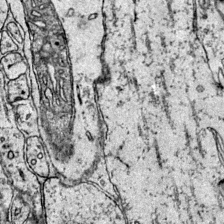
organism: Mouse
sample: Primary visual cortex